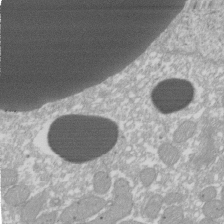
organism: Xenopus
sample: Cilia; centrioles in frog embryo cells